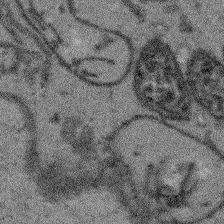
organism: Arabidopsis thaliana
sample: Root tip